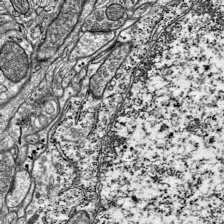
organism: Mouse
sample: Visual Cortex